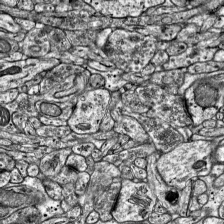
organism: Mouse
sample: Visual Cortex